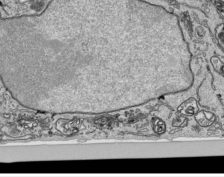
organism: Human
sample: Mitochondria in HCT116 cells